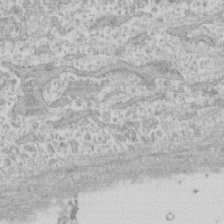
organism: Human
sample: CRL-1474